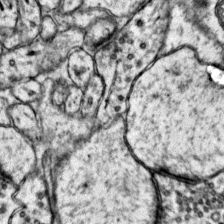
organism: Mouse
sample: Primary visual cortex